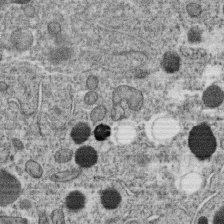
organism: C. elegans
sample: C. elegans oocyte; sperm cells